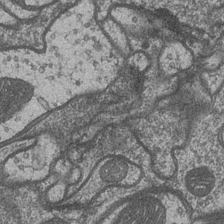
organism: Drosophila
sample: Optic medulla